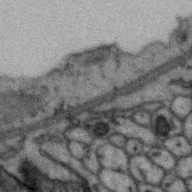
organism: Zebra finch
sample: Brain